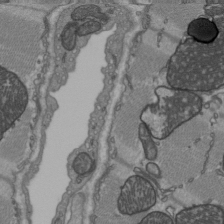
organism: C57BL Mouse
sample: Heart